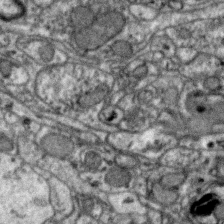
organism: Zebra finch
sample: Brain